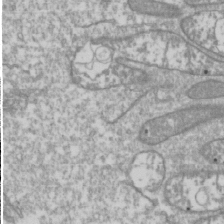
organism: Drosophila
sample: Cell division; meiosis; drosophila spermatocytes